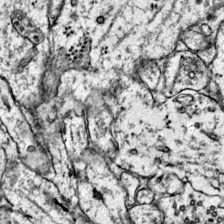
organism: Mouse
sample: Primary visual cortex